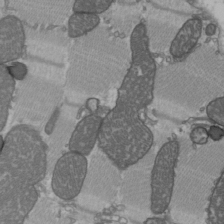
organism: C57BL Mouse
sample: Heart